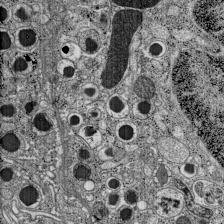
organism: C57BL Mouse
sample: Pancreatic islet